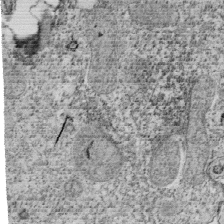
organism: Tetrahymena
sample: Cilia in tetrahymena